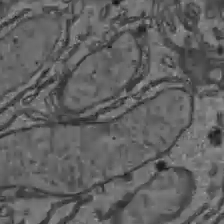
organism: C57BL Mouse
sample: Liver